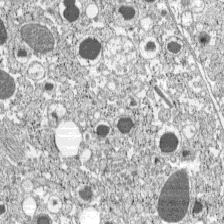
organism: C57BL Mouse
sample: Pancreatic islet